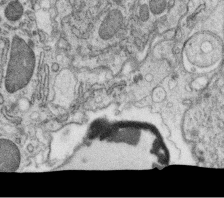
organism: C. elegans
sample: C. elegans oocyte; sperm cells